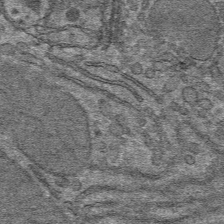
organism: Mouse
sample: Mouse hepatocytes